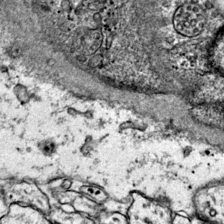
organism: Mouse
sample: Primary visual cortex